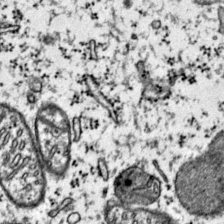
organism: Mouse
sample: Primary visual cortex